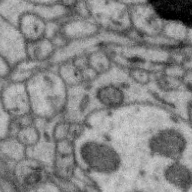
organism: Zebra finch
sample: Brain